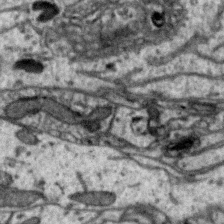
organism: Zebra finch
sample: Brain